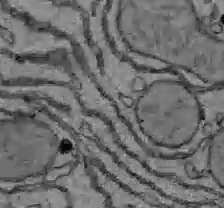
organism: C57BL Mouse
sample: Liver